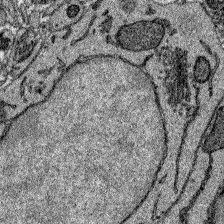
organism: Zebrafish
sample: Larval olfactory bulb